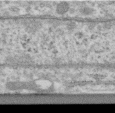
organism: Human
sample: Centriole in RPE cells